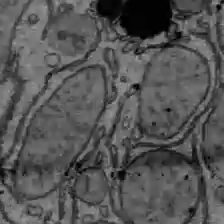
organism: C57BL Mouse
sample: Liver